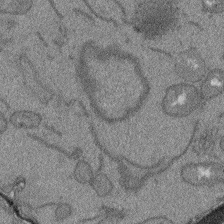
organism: Arabidopsis thaliana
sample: Root tip